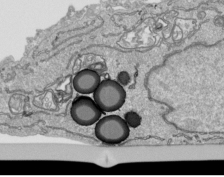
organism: Human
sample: Mitochondria in HCT116 cells